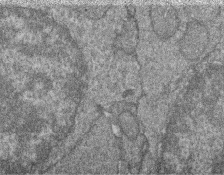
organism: Zebrafish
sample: Cilia; retinal pigment epithelium